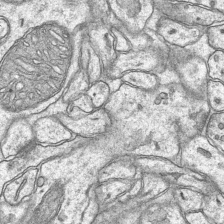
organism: Mouse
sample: CA1 Hippocampus